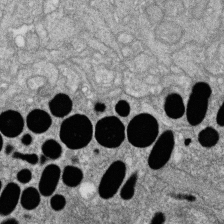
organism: Zebrafish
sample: Cilia; retinal pigment epithelium